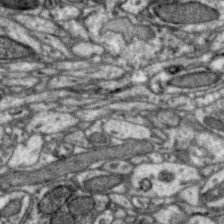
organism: Zebra finch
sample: Brain